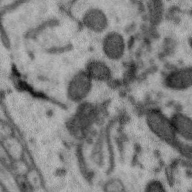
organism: Zebra finch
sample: Brain